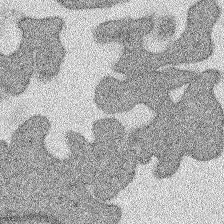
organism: Human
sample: HeLa cells